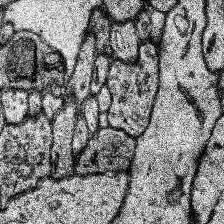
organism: Human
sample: Temporal Lobe